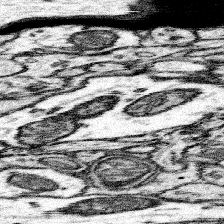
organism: Mouse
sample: Somatosensory cortex neuropil